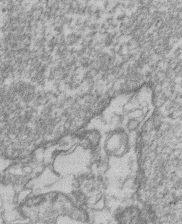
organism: Mouse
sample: T cell stromal cell synapse